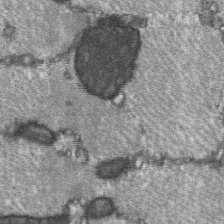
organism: C57BL Mouse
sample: Soleus